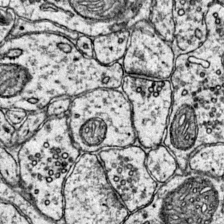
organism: Mouse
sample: Primary visual cortex